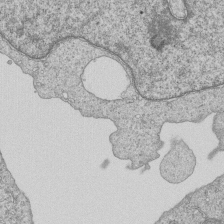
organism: Human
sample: MDA-MB-231 cells